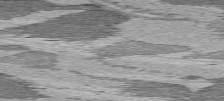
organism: C57BL Mouse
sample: Heart